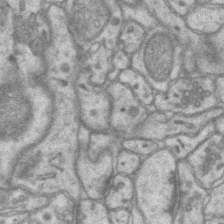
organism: Mouse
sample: CA1 Hippocampus